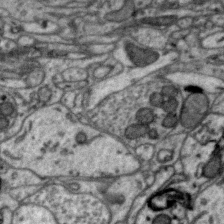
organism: Zebra finch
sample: Brain